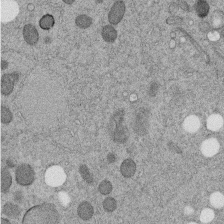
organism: C. elegans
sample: C. elegans embryo early stage